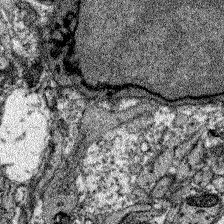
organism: Zebrafish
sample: Larval olfactory bulb